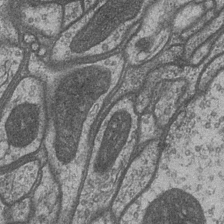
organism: Drosophila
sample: Optic medulla